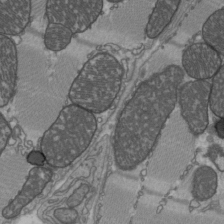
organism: C57BL Mouse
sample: Heart